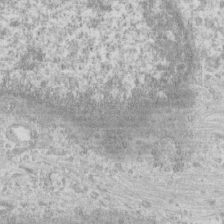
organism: Human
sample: CRL-1474